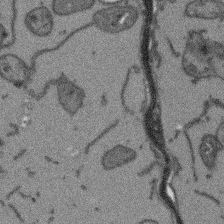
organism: Arabidopsis thaliana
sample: Root tip